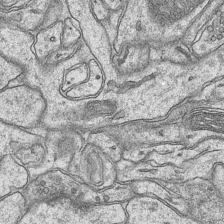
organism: Mouse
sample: CA1 Hippocampus